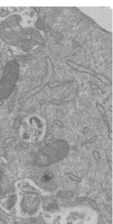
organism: Mouse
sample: ED-1 cell nuclei; centrioles